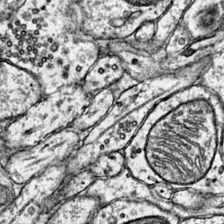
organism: Mouse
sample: Primary visual cortex